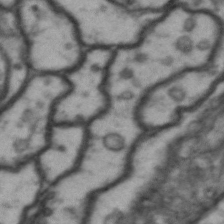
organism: Drosophila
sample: Brain